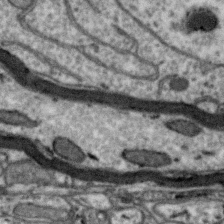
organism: Zebra finch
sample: Brain